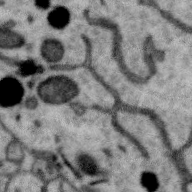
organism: Zebra finch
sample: Brain